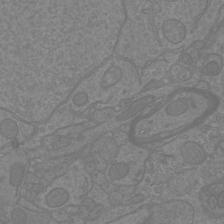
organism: Mouse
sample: Cortical neurons